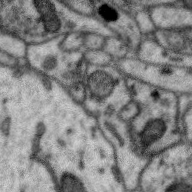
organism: Zebra finch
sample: Brain